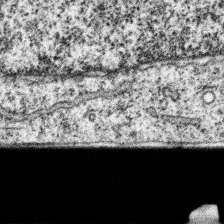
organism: Human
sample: HeLa cells